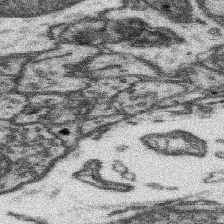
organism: Mouse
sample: Somatosensory cortex neuropil